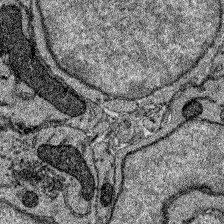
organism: Zebrafish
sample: Larval olfactory bulb